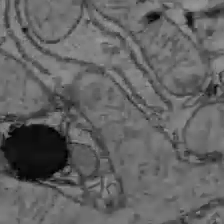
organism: C57BL Mouse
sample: Liver